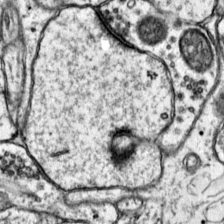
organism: Mouse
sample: Primary visual cortex